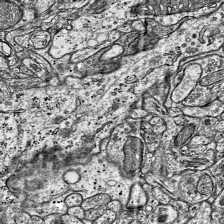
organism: Mouse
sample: Visual Cortex